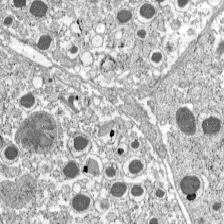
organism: C57BL Mouse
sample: Pancreatic islet